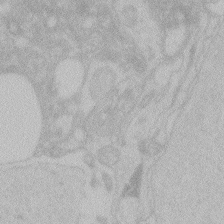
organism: Zebrafish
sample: Macrophage infected with Toxoplasma gondii